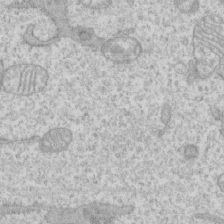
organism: Human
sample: CRL-1474